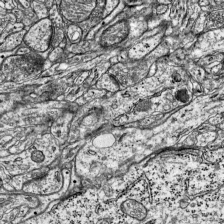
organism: Mouse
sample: Visual Cortex